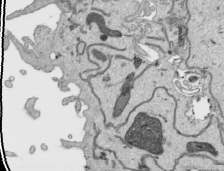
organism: Human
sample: Mitochondria in HCT116 cells